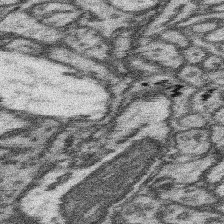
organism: Mouse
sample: Somatosensory cortex neuropil